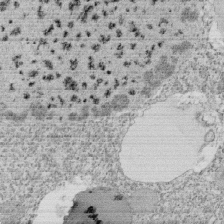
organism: Tetrahymena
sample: Cilia in tetrahymena